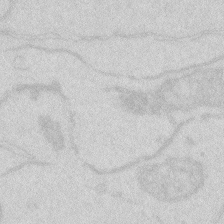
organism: Zebrafish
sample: Macrophage